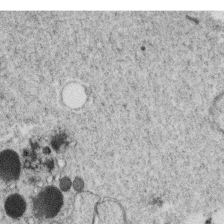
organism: C. elegans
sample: C. elegans oocyte; sperm cells